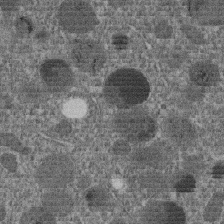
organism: C. elegans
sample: C. elegans embryo early stage